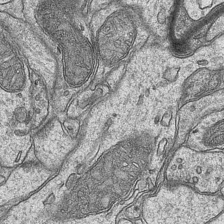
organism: Mouse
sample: CA1 Hippocampus